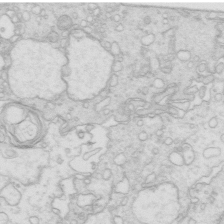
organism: Mouse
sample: Multiciliated cells